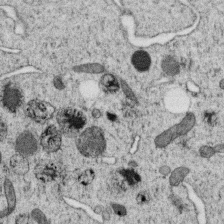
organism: C. elegans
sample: C. elegans oocyte; sperm cells